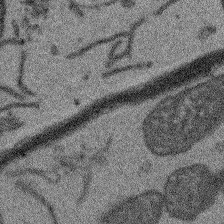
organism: Arabidopsis thaliana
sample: Root tip